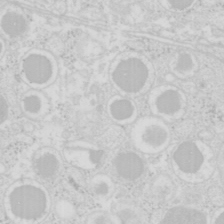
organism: Mouse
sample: Pancreas